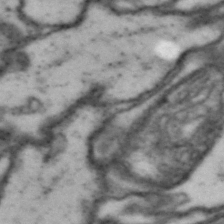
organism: Drosophila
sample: Brain